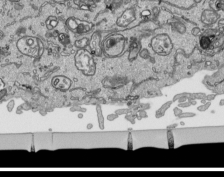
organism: Human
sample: Mitochondria in HCT116 cells